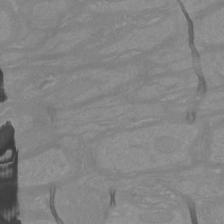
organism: Mouse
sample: Cortical neurons